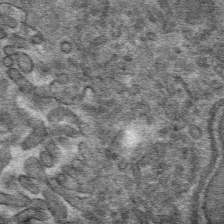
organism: Mouse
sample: Mouse hepatocytes